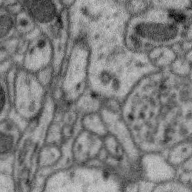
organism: Zebra finch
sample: Brain